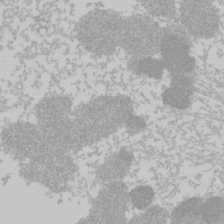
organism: Mouse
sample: Cancer cell death in ED-1 cells